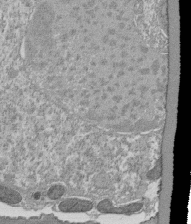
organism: Tetrahymena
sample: Cilia in tetrahymena